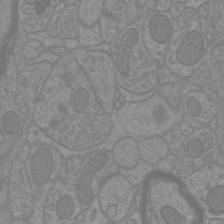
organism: Mouse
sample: Cortical neurons